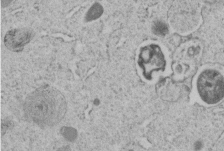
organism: C. elegans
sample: C. elegans embryo early stage